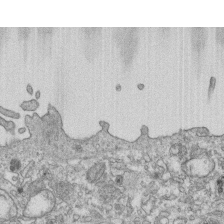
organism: Human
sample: HeLa cell HIV synapse